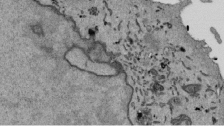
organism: Mouse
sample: ED-1 cell nuclei; centrioles